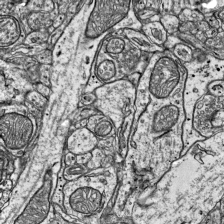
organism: Mouse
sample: Visual Cortex